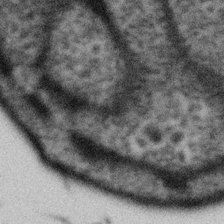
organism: Gemmata obscuriglobus